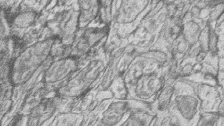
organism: Zebrafish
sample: synaptic ribbons in rod cells and cone cells